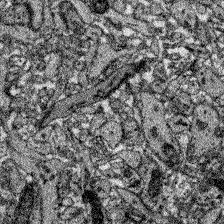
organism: Zebrafish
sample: Larval olfactory bulb